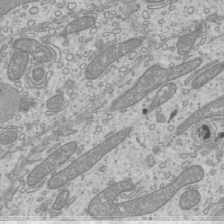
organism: Mouse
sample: Cilia; mouse epididymis